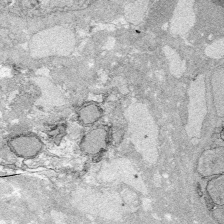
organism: Zebrafish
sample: Whole-Brain